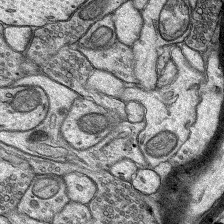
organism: Rat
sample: Hippocampus